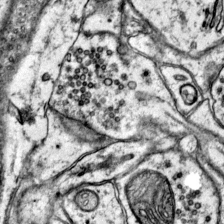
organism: Mouse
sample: Primary visual cortex